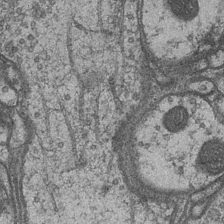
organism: Drosophila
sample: Optic medulla